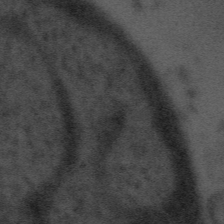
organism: Tuwongella immobilis